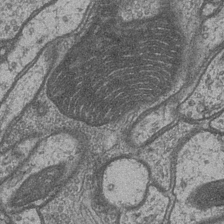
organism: Drosophila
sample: Optic medulla